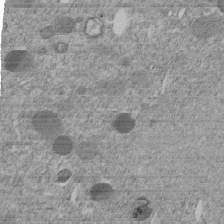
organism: C. elegans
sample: C. elegans embryo early stage